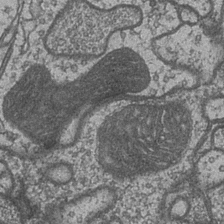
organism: Drosophila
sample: Optic medulla